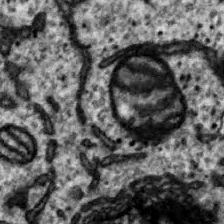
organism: Human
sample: HeLa cells